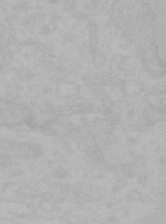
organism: Mouse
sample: Choroid plexus